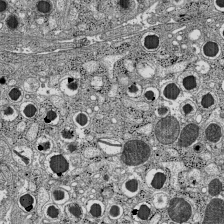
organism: C57BL Mouse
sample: Pancreatic islet